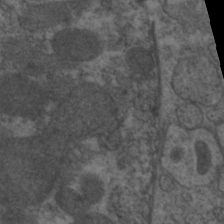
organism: C. elegans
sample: Pharynx